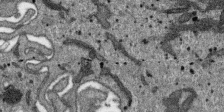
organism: Human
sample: Lung epithelial cells, uninfected (mock) control